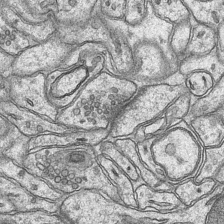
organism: Mouse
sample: CA1 Hippocampus